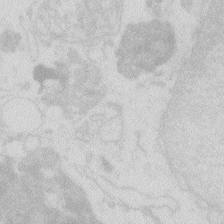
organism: Zebrafish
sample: Macrophage